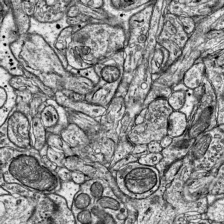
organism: Mouse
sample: Visual Cortex